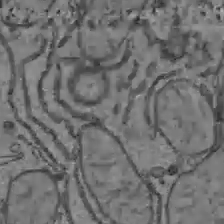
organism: C57BL Mouse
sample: Liver